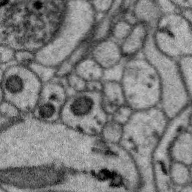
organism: Zebra finch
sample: Brain